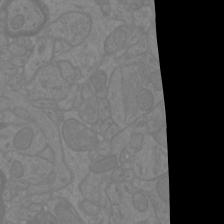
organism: Mouse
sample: Cortical neurons